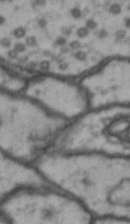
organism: Drosophila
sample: Brain